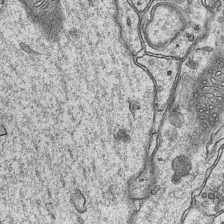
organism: Mouse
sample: CA1 Hippocampus